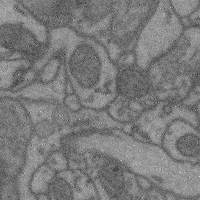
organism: Mouse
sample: Cerebral cortex